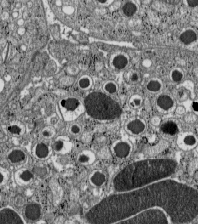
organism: C57BL Mouse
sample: Pancreatic islet